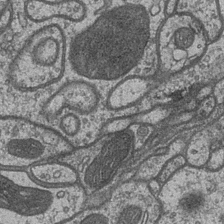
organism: Drosophila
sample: Optic medulla